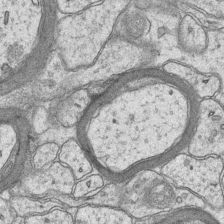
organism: Mouse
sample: CA1 Hippocampus